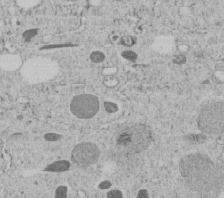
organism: C. elegans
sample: C. elegans embryo early stage